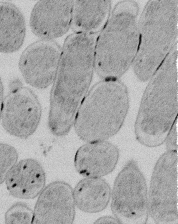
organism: E. coli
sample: Bacterial nucleoid